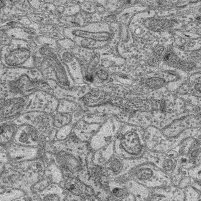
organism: Mouse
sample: Retina